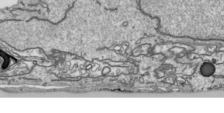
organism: Human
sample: Mitochondria in HCT116 cells